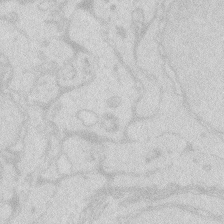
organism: Zebrafish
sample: Macrophage